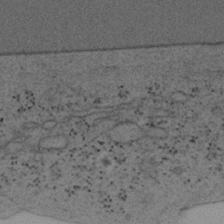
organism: Human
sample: HeLa cells